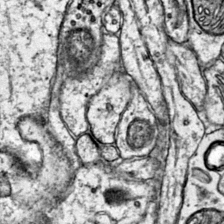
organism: Mouse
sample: Primary visual cortex